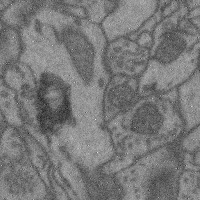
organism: Mouse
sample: Cerebral cortex